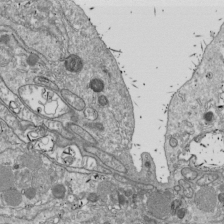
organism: Drosophila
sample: Cell division; meiosis; drosophila spermatocytes